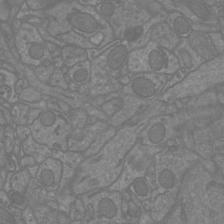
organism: Mouse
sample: Cortical neurons